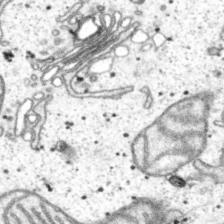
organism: Human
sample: HeLa cells